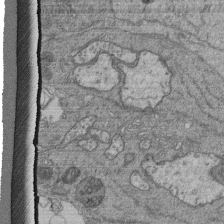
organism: Human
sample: Retinal organoid Rod and Cone cells